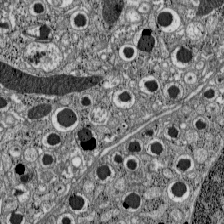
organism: C57BL Mouse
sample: Pancreatic islet